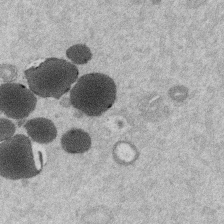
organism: Mouse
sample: Dividing mouse embryo 1 cell stage